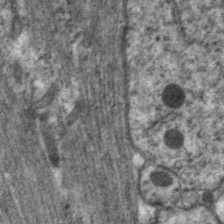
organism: C. elegans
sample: Pharynx